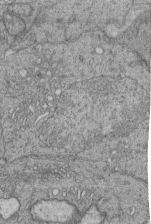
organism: Human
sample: Retinal organoid Rod and Cone cells